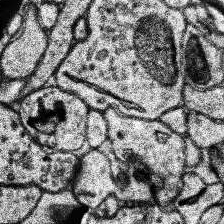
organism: Human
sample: Temporal Lobe